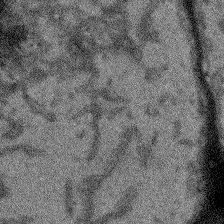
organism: Arabidopsis thaliana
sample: Root tip